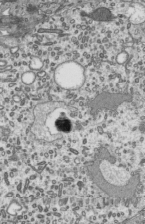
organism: Mouse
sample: Mouse epididymis efferent ductule cilia